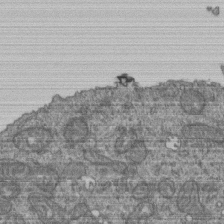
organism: Human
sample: Retinal organoid Rod and Cone cells